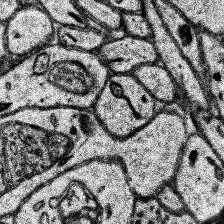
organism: Human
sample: Temporal Lobe